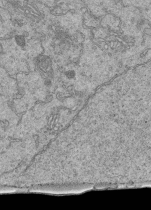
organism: Human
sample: Retinal organoid Rod and Cone cells